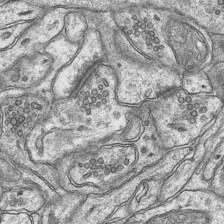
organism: Mouse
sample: CA1 Hippocampus